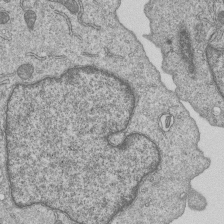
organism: Human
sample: MDA-MB-231 cells